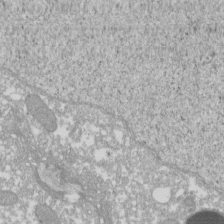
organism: Xenopus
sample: Cilia; centrioles in frog embryo cells